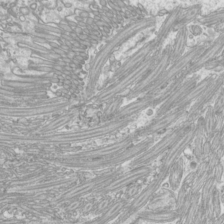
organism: Mouse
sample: Cilia; mouse epididymis